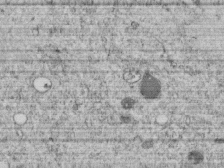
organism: C. elegans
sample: C. elegans embryo early stage